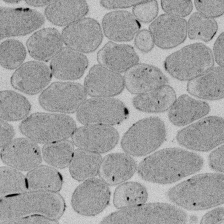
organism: E. coli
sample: Bacterial nucleoid